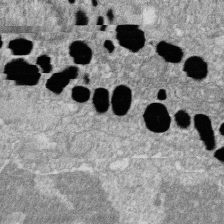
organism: Zebrafish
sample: Cilia; retinal pigment epithelium